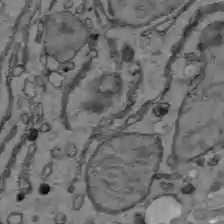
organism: C57BL Mouse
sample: Liver